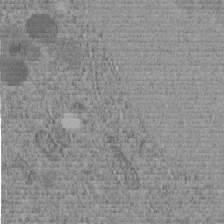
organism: C. elegans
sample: C. elegans embryo early stage